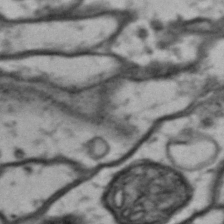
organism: Drosophila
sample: Brain